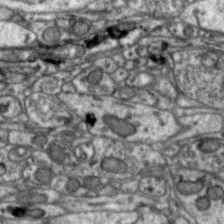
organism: Zebra finch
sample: Brain